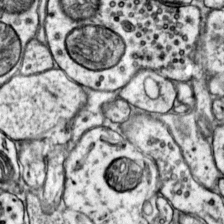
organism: Mouse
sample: Primary visual cortex